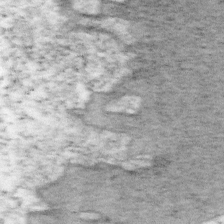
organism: Mouse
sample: OT-I killer T cells with ID8 ovarian cancer cells